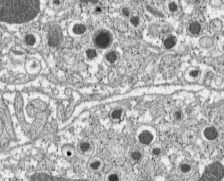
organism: C57BL Mouse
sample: Pancreatic islet